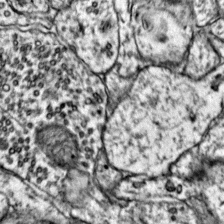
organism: Mouse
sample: Primary visual cortex